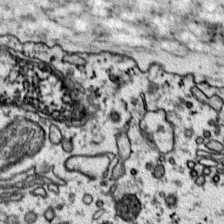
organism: Mouse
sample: Primary visual cortex